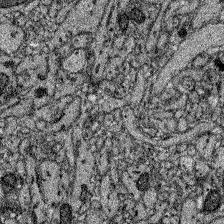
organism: Zebrafish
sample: Larval olfactory bulb